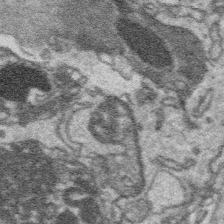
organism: Platynereis dumerilii